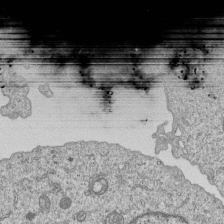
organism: Human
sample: MDA-MB-231 cells